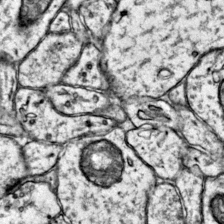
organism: Mouse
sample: Primary visual cortex